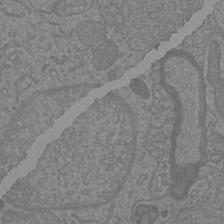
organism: Mouse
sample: Cortical neurons